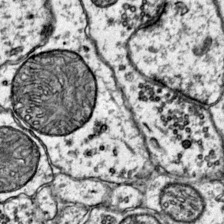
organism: Mouse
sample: Primary visual cortex